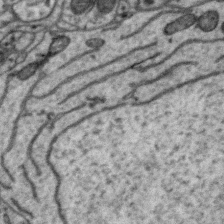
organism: Zebra finch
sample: Brain